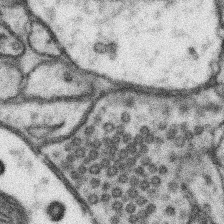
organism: Mouse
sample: Somatosensory cortex neuropil